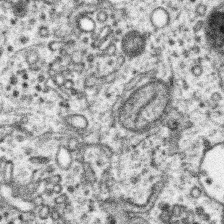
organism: Human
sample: HeLa cells